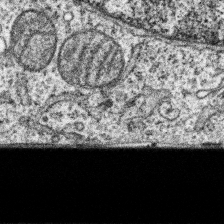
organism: Human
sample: HeLa cells